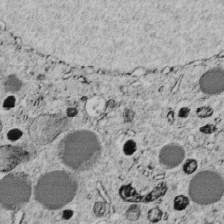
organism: C. elegans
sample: C. elegans embryo early stage